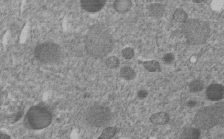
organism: C. elegans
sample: C. elegans embryo early stage